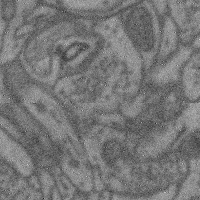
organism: Mouse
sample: Cerebral cortex